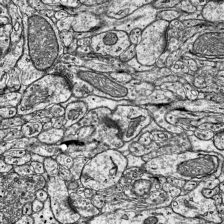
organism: Mouse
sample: Visual Cortex